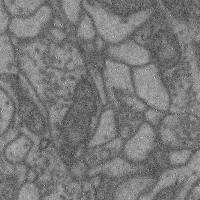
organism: Mouse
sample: Cerebral cortex